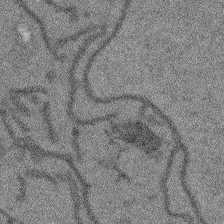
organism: Arabidopsis thaliana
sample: Root tip